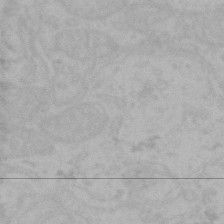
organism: Mouse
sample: Choroid plexus